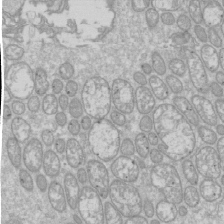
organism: Drosophila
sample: Cell division; meiosis; drosophila spermatocytes